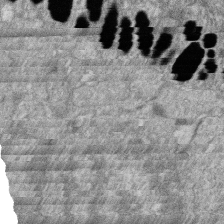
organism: Zebrafish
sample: Cilia; retinal pigment epithelium